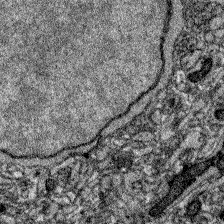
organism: Zebrafish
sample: Larval olfactory bulb